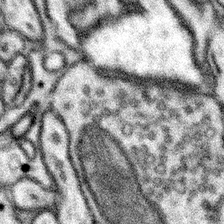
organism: Mouse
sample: Somatosensory cortex neuropil